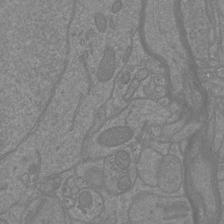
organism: Mouse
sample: Cortical neurons